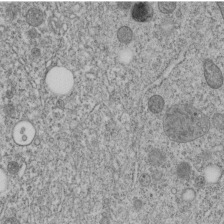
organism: C. elegans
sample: C. elegans embryo early stage